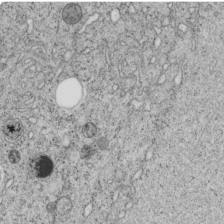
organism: C. elegans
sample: C. elegans embryo early stage